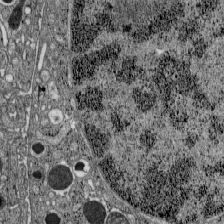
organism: C57BL Mouse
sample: Pancreatic islet